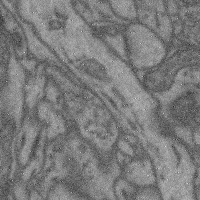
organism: Mouse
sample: Cerebral cortex